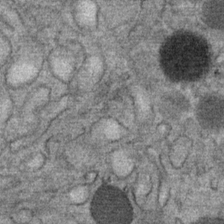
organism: Mouse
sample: Mouse Salivary gland